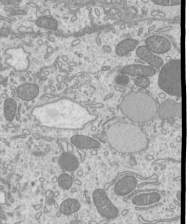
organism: Mouse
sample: Cilia; mouse epididymis